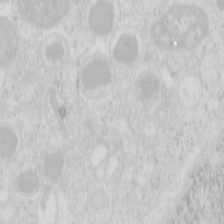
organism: Mouse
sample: Pancreas